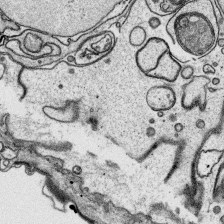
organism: Platynereis dumerilii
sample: Parapodia